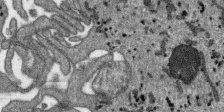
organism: Human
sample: Lung epithelial cells, uninfected (mock) control